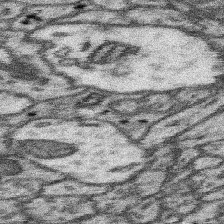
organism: Mouse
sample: Somatosensory cortex neuropil